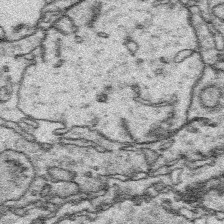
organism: Platynereis dumerilii